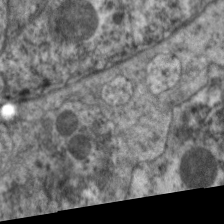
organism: C. elegans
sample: Pharynx